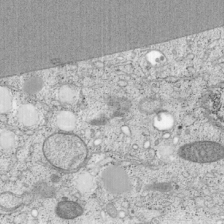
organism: African green monkey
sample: COS-7 cells